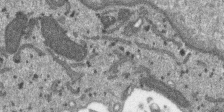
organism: Human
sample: Lung epithelial cells infected with SARS-CoV-2